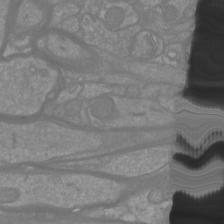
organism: Mouse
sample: Cortical neurons